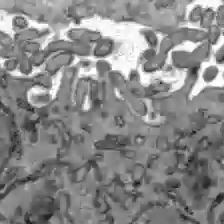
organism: C57BL Mouse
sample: Liver